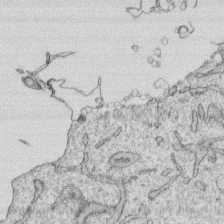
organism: Human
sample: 1205lu cells